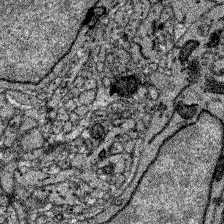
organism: Zebrafish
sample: Larval olfactory bulb